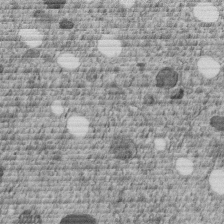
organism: C. elegans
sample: C. elegans embryo early stage